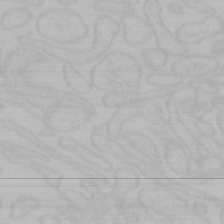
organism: Mouse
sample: Choroid plexus